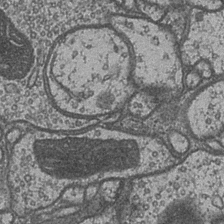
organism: Drosophila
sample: Optic medulla